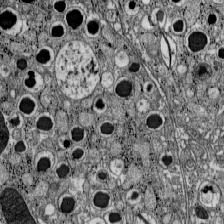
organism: C57BL Mouse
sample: Pancreatic islet